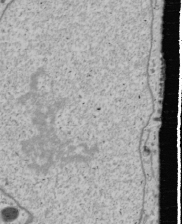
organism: Human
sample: Mitochondria in U2OS cells